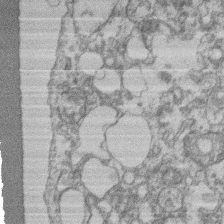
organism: Mouse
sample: T cell stromal cell synapse